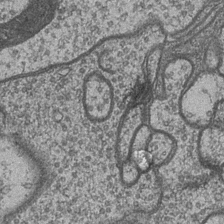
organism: Drosophila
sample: Optic medulla